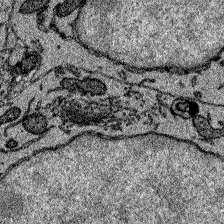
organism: Zebrafish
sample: Larval olfactory bulb